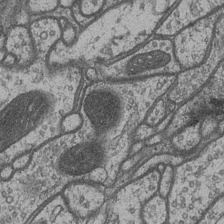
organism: Drosophila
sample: Optic medulla